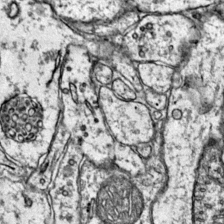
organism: Mouse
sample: Primary visual cortex